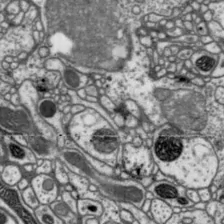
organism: Drosophila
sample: Protocerebral bridge